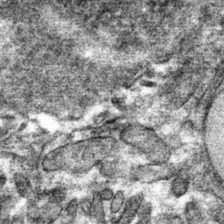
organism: Mouse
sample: Mouse hepatocytes